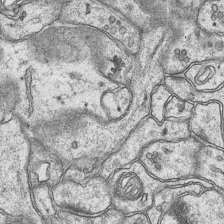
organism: Mouse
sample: CA1 Hippocampus